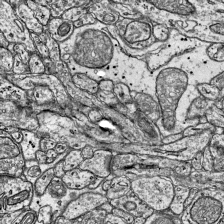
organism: Mouse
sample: Visual Cortex